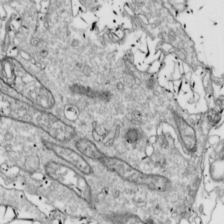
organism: Drosophila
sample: Cell division; meiosis; drosophila spermatocytes